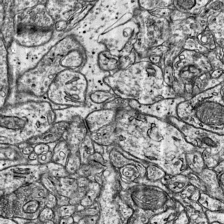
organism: Mouse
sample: Visual Cortex